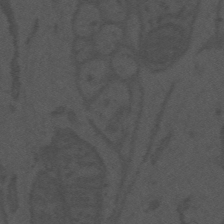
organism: Mouse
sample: Suprachiasmatic nucleus